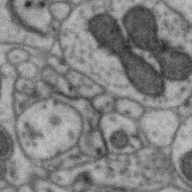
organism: Zebra finch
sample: Brain